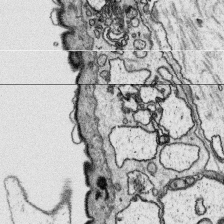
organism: Platynereis dumerilii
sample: Parapodia